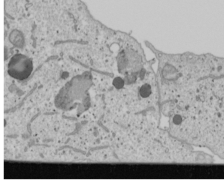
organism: Human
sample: Mitochondria in U2OS cells